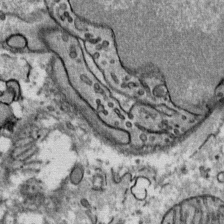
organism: Mouse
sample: Mouse Salivary gland